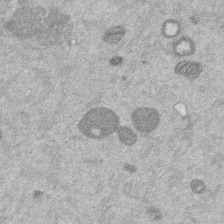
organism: Mouse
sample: Dividing mouse embryo 1 cell stage